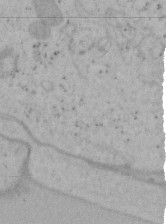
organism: Human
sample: HeLa cells